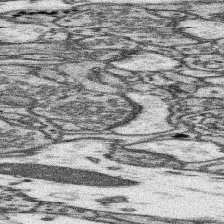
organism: Mouse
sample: Somatosensory cortex neuropil